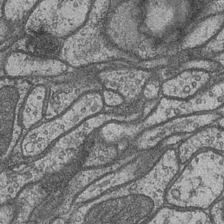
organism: Drosophila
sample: Optic medulla